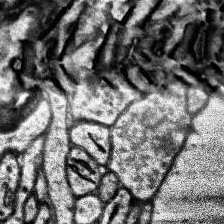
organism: Human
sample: Temporal Lobe